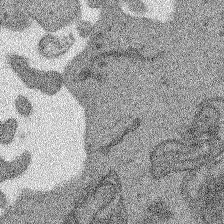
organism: Human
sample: HeLa cells